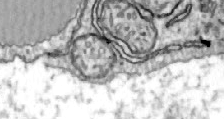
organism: Zebrafish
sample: Actinotrichia fibers